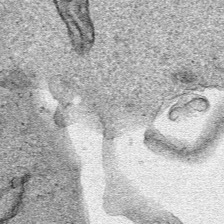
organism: Human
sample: Mitochondria in HCT116 cells